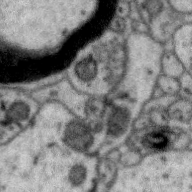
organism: Zebra finch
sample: Brain